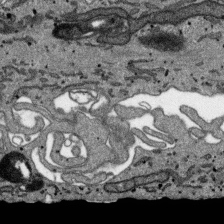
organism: Human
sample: Lung epithelial cells, uninfected (mock) control